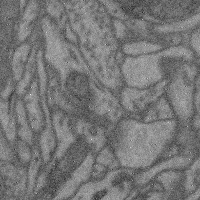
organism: Mouse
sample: Cerebral cortex